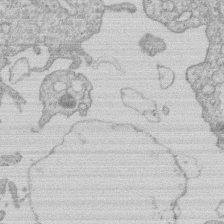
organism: Human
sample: Macrophage cells